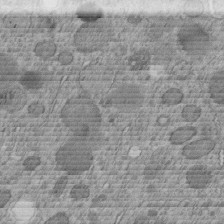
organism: C. elegans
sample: C. elegans embryo early stage